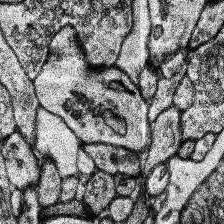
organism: Human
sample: Temporal Lobe